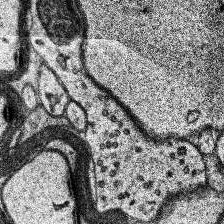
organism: Human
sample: Temporal Lobe